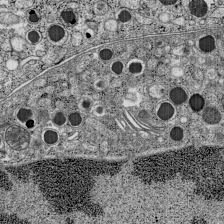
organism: C57BL Mouse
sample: Pancreatic islet